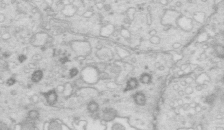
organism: Mouse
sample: Multiciliated cells